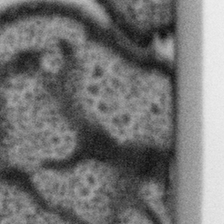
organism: Gemmata obscuriglobus